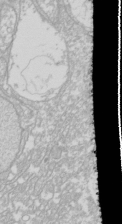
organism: Drosophila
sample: Cell division; meiosis; drosophila spermatocytes